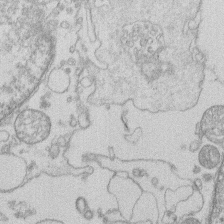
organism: Human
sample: Macrophage cells